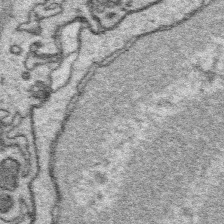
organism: Platynereis dumerilii